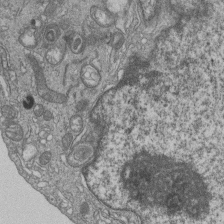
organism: Human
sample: MDA-MB-231 cells